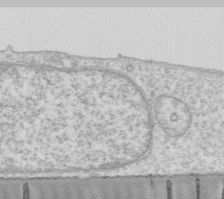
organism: Human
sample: Fibroblast cells